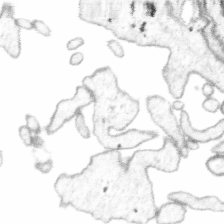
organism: Human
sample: HeLa cells